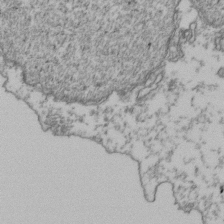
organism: Human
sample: Activated Jurkat CD4+ T cells